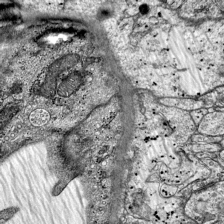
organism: Mouse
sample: Visual Cortex